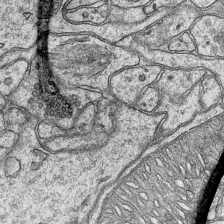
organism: Mouse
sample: CA1 Hippocampus